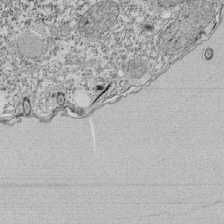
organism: Tetrahymena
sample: Cilia in tetrahymena